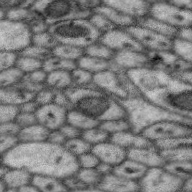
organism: Zebra finch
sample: Brain